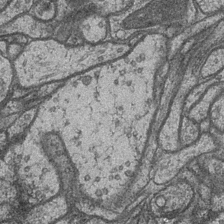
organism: Drosophila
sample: Optic medulla